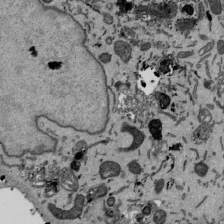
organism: Mouse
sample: ED-1 cell nuclei; centrioles